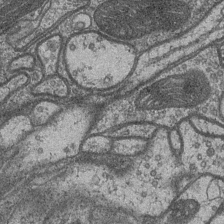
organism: Drosophila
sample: Optic medulla